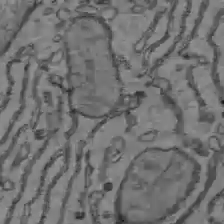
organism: C57BL Mouse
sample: Liver